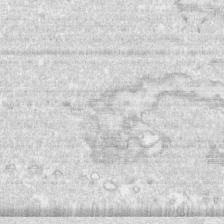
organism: Human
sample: CRL-1474